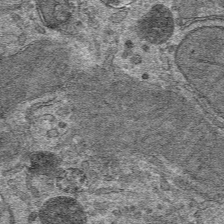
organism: Mouse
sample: Mouse hepatocytes